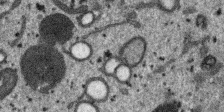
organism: Human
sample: Lung epithelial cells infected with SARS-CoV-2